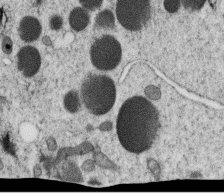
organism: C. elegans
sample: C. elegans oocyte; sperm cells